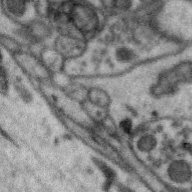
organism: Zebra finch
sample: Brain